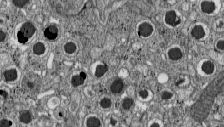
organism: C57BL Mouse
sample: Pancreatic islet